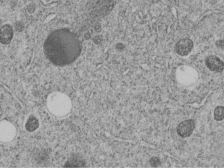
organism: C. elegans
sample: C. elegans embryo early stage